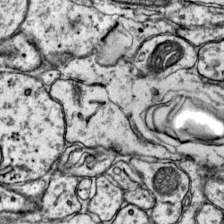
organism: Mouse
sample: Primary visual cortex